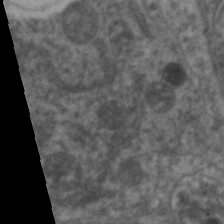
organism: C. elegans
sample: Pharynx